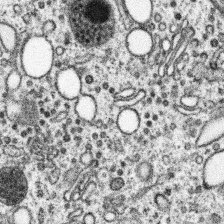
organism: Human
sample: HeLa cells